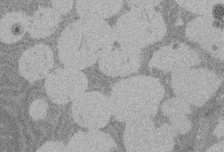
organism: Rat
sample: Salivary granule